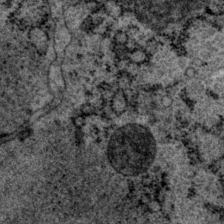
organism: P. pacificus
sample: Pharynx